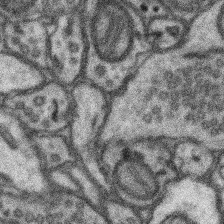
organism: Mouse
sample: Somatosensory cortex neuropil